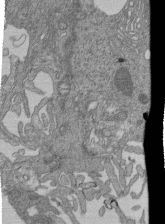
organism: Human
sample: Retinal organoid Rod and Cone cells